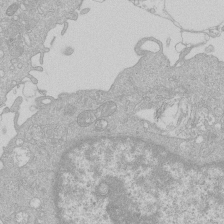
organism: Human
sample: Macrophage cells